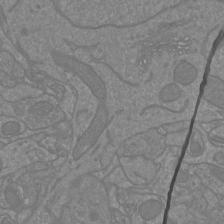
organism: Mouse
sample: Cortical neurons